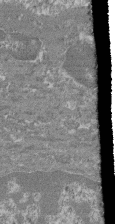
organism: Mouse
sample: Glomerulus